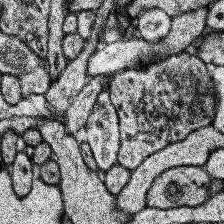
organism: Human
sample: Temporal Lobe